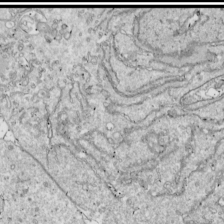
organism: Drosophila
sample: Cell division; meiosis; drosophila spermatocytes